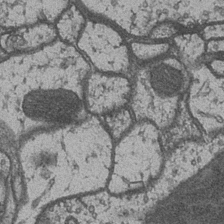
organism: Drosophila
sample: Optic medulla